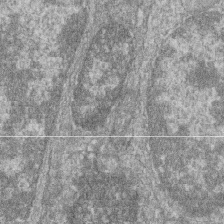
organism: Zebrafish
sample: Cilia; retinal pigment epithelium